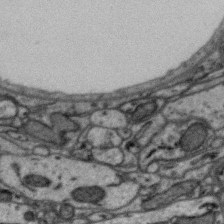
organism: Zebra finch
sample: Brain